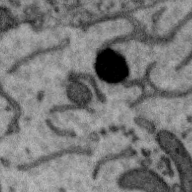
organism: Zebra finch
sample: Brain